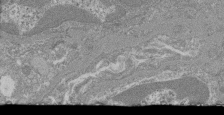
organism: Mouse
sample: Glomerulus